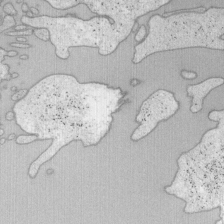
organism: Mouse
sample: OT-I killer T cells with ID8 ovarian cancer cells